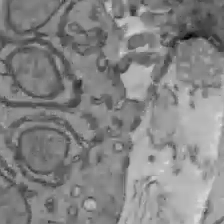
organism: C57BL Mouse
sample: Liver